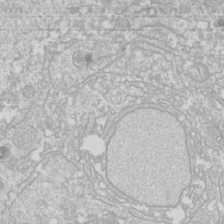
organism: Drosophila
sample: Cell division; meiosis; drosophila spermatocytes